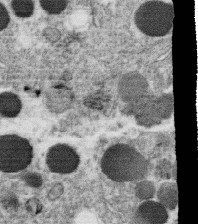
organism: C. elegans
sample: C. elegans oocyte; sperm cells